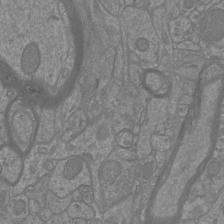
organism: Mouse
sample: Cortical neurons